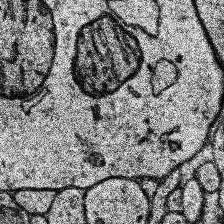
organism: Human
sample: Temporal Lobe